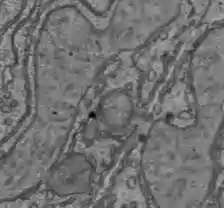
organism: C57BL Mouse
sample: Liver